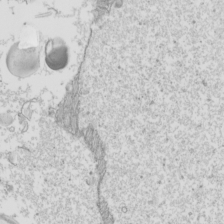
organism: Mouse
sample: Cilia; mouse epididymis